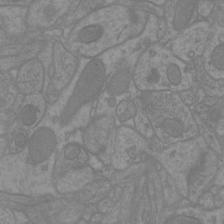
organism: Mouse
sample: Cortical neurons